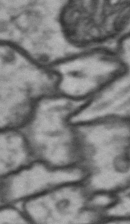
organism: Drosophila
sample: Brain